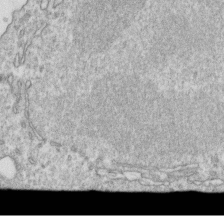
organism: Mouse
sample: Activated OT-1 CD8+ T cells